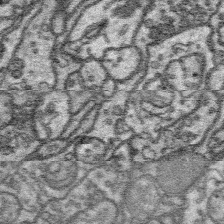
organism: Platynereis dumerilii